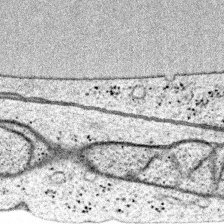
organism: Human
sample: HeLa cells